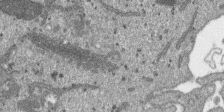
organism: Human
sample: Lung epithelial cells infected with SARS-CoV-2